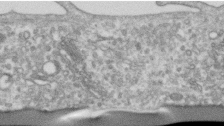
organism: Human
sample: Centriole in RPE cells